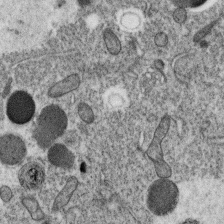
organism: C. elegans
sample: C. elegans oocyte; sperm cells